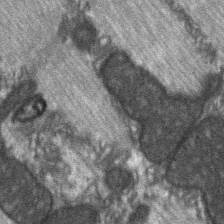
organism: C57BL Mouse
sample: Soleus